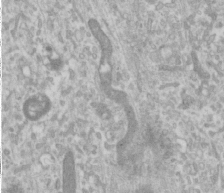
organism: Human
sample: Cilia; basal body in RPE cells